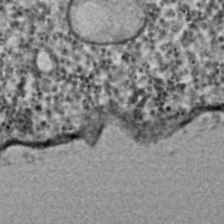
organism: C. elegans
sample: C. elegans embryo